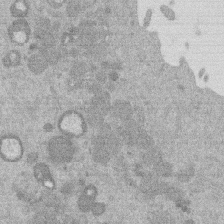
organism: Mouse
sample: Dividing mouse embryo 1 cell stage